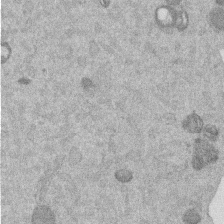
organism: Mouse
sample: Dividing mouse embryo 1 cell stage